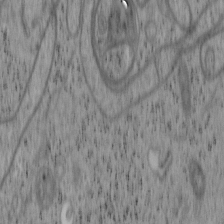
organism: Human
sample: HeLa cells